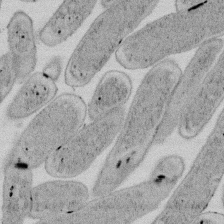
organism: E. coli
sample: Bacterial nucleoid